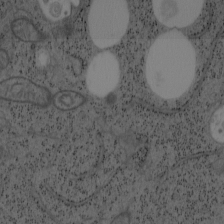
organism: Mouse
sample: OT-I killer T cells with ID8 ovarian cancer cells